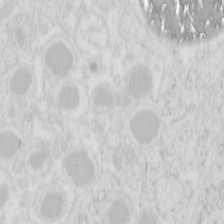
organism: Mouse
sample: Pancreas